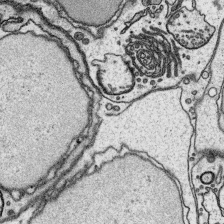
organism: Platynereis dumerilii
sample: Parapodia